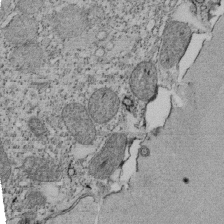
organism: Tetrahymena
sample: Cilia in tetrahymena